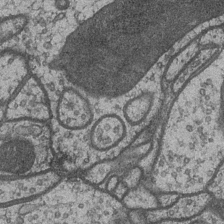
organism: Drosophila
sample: Optic medulla